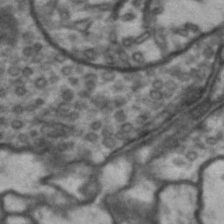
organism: Drosophila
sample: Brain